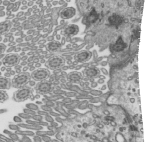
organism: Mouse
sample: Mouse epididymis efferent ductule cilia